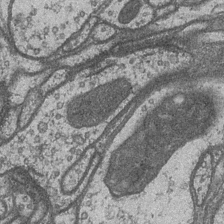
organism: Drosophila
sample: Optic medulla